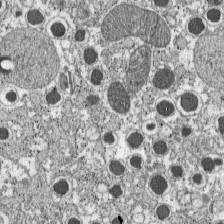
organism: C57BL Mouse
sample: Pancreatic islet